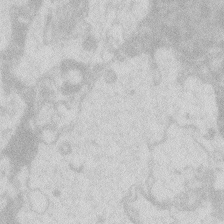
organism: Zebrafish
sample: Macrophage